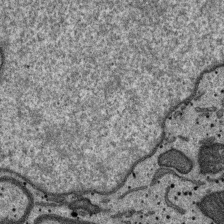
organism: Human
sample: Lung epithelial cells, uninfected (mock) control